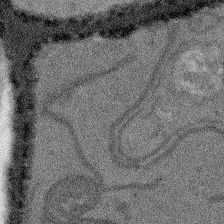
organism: Arabidopsis thaliana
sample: Root tip